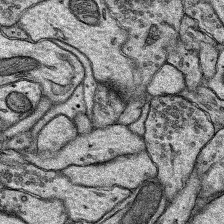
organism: Rat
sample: Hippocampus